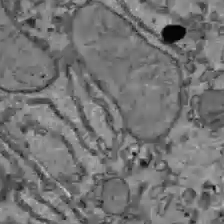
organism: C57BL Mouse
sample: Liver